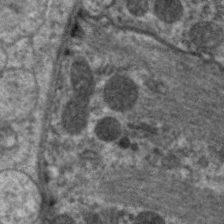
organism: C. elegans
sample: Pharynx